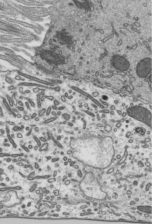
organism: Mouse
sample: Mouse epididymis efferent ductule cilia